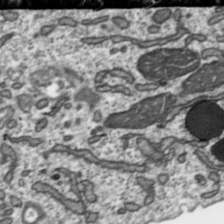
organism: Toxoplasma gondii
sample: Parasites in a vacuole inside a host cell